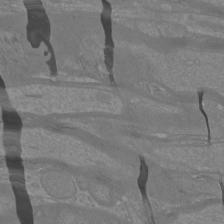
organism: Mouse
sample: Cortical neurons